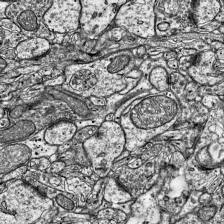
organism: Mouse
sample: Visual Cortex